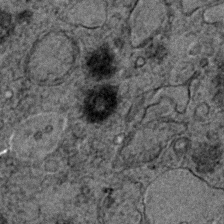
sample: Trachea